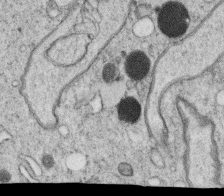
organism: C. elegans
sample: C. elegans oocyte; sperm cells